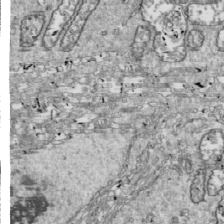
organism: Drosophila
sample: Cell division; meiosis; drosophila spermatocytes